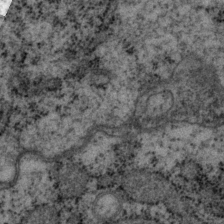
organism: P. pacificus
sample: Pharynx